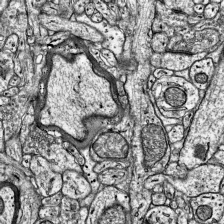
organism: Mouse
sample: Visual Cortex